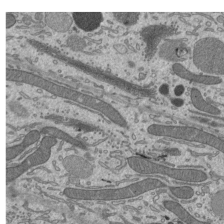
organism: Mouse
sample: Mouse epididymis efferent ductule cilia